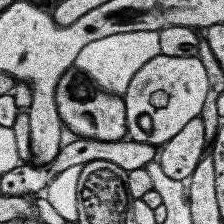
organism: Human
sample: Temporal Lobe